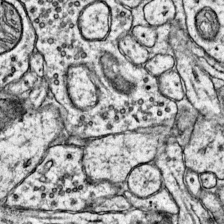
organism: Mouse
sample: Primary visual cortex